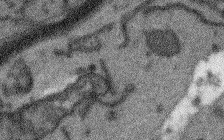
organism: Arabidopsis thaliana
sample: Root tip